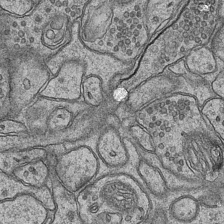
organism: Mouse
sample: CA1 Hippocampus